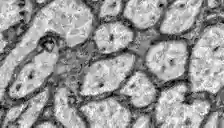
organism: Zebrafish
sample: Brain